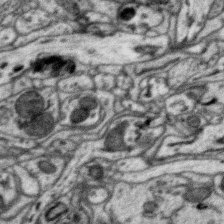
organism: Zebra finch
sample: Brain